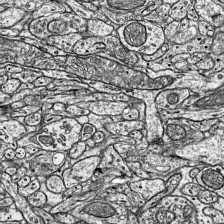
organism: Mouse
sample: Visual Cortex